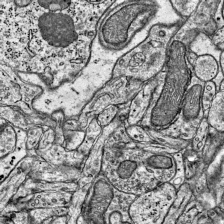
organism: Mouse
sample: Visual Cortex